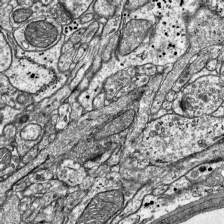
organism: Mouse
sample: Visual Cortex